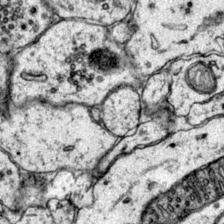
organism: Mouse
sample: Primary visual cortex